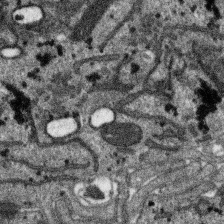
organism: Human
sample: Lung epithelial cells infected with SARS-CoV-2